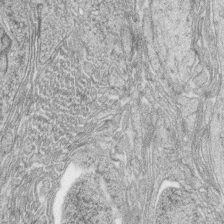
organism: Zebrafish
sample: synaptic ribbons in rod cells and cone cells